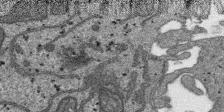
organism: Human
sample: Lung epithelial cells infected with SARS-CoV-2